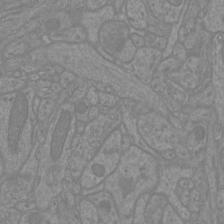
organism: Mouse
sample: Cortical neurons